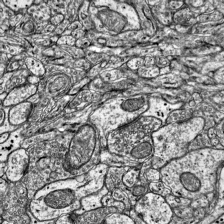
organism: Mouse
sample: Visual Cortex